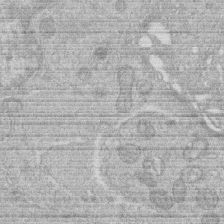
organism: Human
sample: Macrophage cells